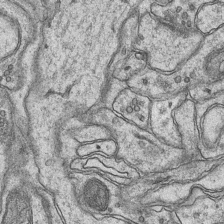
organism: Mouse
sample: CA1 Hippocampus